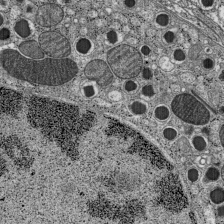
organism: C57BL Mouse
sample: Pancreatic islet